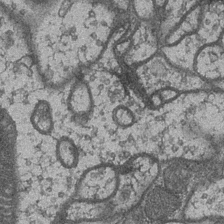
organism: Drosophila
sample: Optic medulla